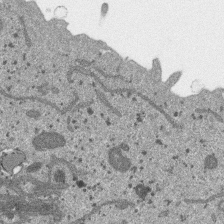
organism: Human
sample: Lung epithelial cells infected with SARS-CoV-2